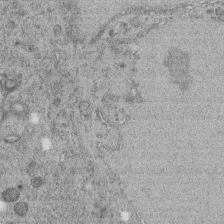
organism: C. elegans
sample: C. elegans embryo early stage